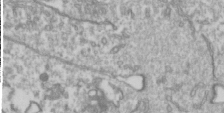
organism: Drosophila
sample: Cell division; meiosis; drosophila spermatocytes